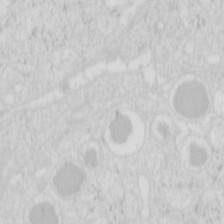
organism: Mouse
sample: Pancreas